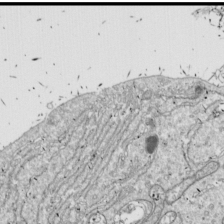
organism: Drosophila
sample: Cell division; meiosis; drosophila spermatocytes